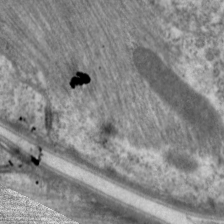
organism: C. elegans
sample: Pharynx